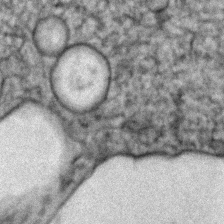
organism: Zebrafish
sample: Zebrafish embryo